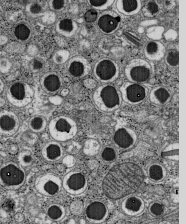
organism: C57BL Mouse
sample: Pancreatic islet